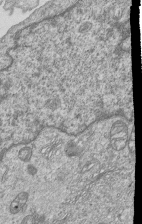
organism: Human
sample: MDA-MB-231 cells